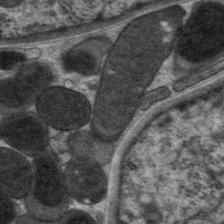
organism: C. elegans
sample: Pharynx